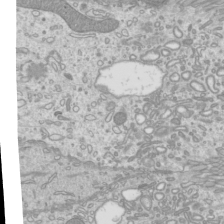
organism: Mouse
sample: Cilia; mouse epididymis